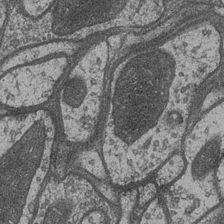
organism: Drosophila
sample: Optic medulla